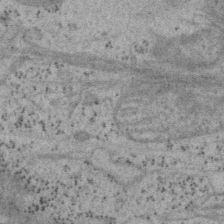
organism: Human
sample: HeLa cells